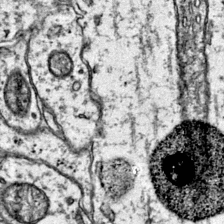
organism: Mouse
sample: Primary visual cortex